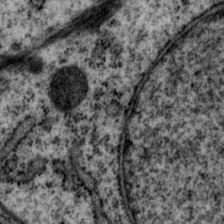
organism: P. pacificus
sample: Pharynx